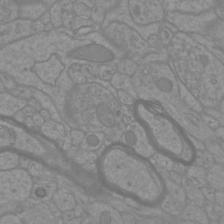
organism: Mouse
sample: Cortical neurons